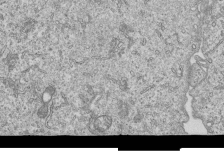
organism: Human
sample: MDA-MB-231 cells